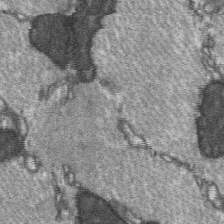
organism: C57BL Mouse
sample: Soleus